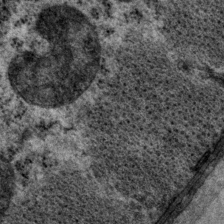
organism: P. pacificus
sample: Pharynx